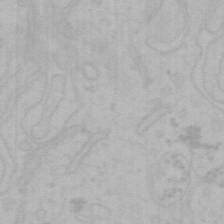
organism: Mouse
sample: Choroid plexus